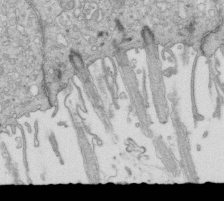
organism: Mouse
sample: Multiciliated cells